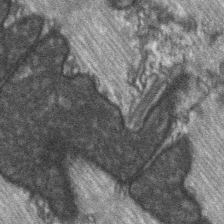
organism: C57BL Mouse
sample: Soleus